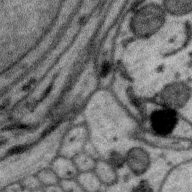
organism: Zebra finch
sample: Brain